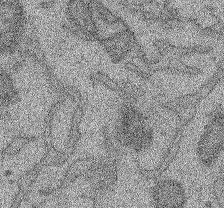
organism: Human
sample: HeLa cells